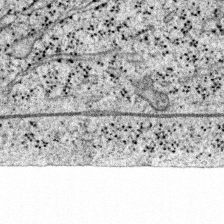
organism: Human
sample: HeLa cells